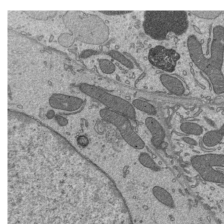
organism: Mouse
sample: Mouse epididymis efferent ductule cilia